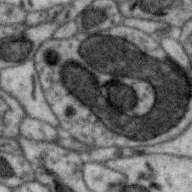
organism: Zebra finch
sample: Brain